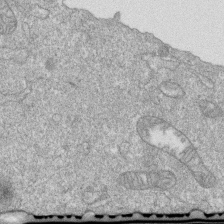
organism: Human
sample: HeLa cell HIV synapse